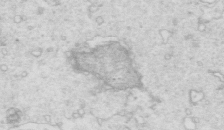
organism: Mouse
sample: Multiciliated cells